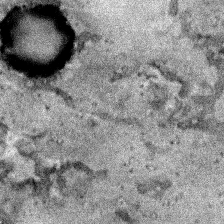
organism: Human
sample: Mitochondria in HCT116 cells